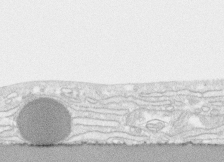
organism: Human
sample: CRL-1474